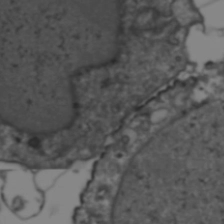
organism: Human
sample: HIV-1 Gag-iGFP